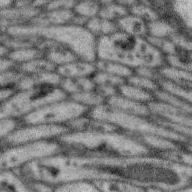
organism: Zebra finch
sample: Brain